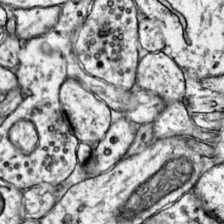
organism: Mouse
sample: Primary visual cortex